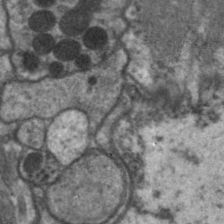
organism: C. elegans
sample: Pharynx